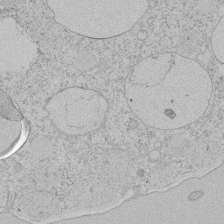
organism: Tetrahymena